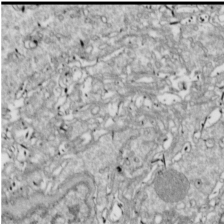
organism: Drosophila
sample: Cell division; meiosis; drosophila spermatocytes